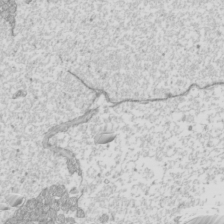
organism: Mouse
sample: Cilia; mouse epididymis